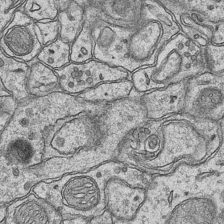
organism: Mouse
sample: CA1 Hippocampus